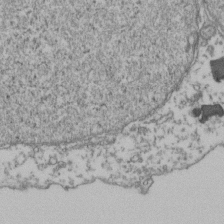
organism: Human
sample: Activated Jurkat CD4+ T cells